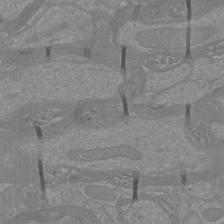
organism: Mouse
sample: Cortical neurons